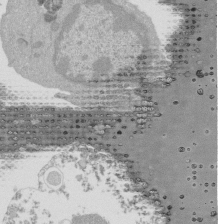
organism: Mouse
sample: Activated Pmel transgenic CD8+ T Cells